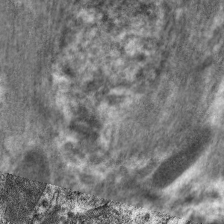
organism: C. elegans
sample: Pharynx